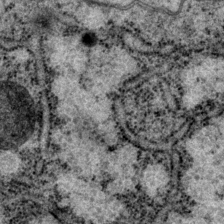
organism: P. pacificus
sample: Pharynx